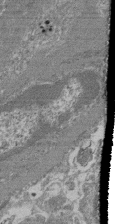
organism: Mouse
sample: Glomerulus